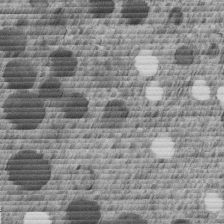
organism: C. elegans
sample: C. elegans embryo early stage